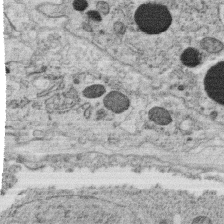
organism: C. elegans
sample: C. elegans oocyte; sperm cells